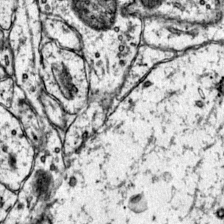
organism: Mouse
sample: Primary visual cortex